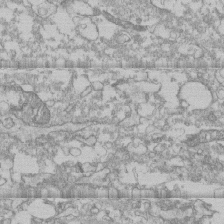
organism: Human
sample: CRL-1474